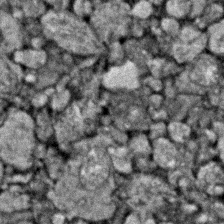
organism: Zebrafish